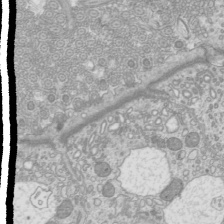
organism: Mouse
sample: Cilia; mouse epididymis